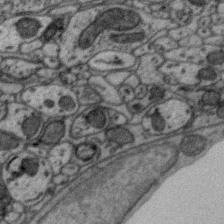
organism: Zebra finch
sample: Brain